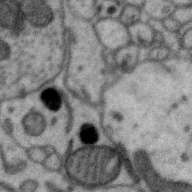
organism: Zebra finch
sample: Brain